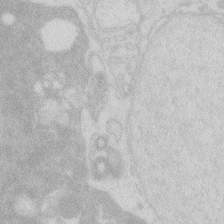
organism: Zebrafish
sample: Macrophage